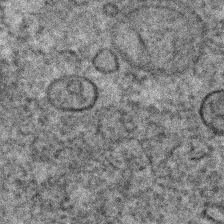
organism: C. elegans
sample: C. elegans embryo